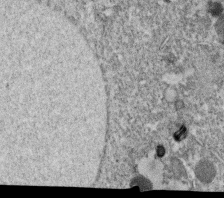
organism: C. elegans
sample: C. elegans oocyte; sperm cells